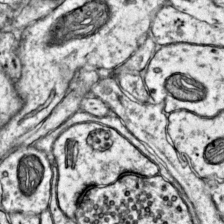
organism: Mouse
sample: Primary visual cortex